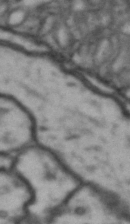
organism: Drosophila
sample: Brain